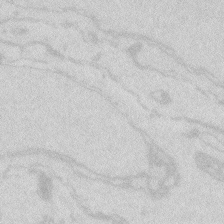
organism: Zebrafish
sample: Macrophage